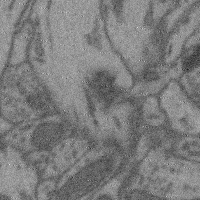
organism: Mouse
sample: Cerebral cortex